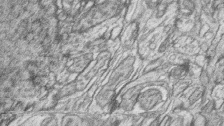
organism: Zebrafish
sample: synaptic ribbons in rod cells and cone cells